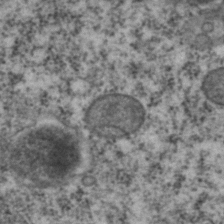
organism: C. elegans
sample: C. elegans embryo